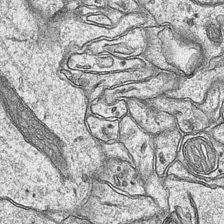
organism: Mouse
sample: CA1 Hippocampus